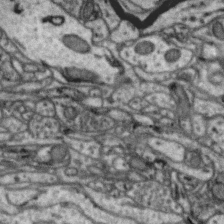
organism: Zebra finch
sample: Brain